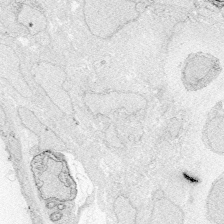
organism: Zebrafish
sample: Whole-Brain